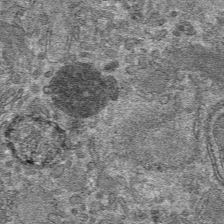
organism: Mouse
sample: Mouse hepatocytes